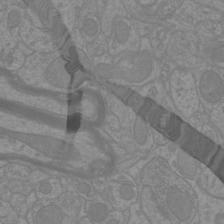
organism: Mouse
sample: Cortical neurons